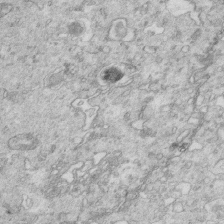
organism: Mouse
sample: Multiciliated cells